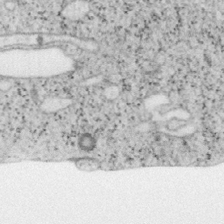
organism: Mouse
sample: OT-I killer T cells with ID8 ovarian cancer cells